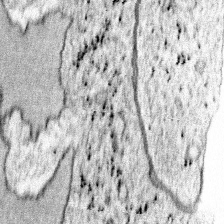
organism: Human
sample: HeLa cells